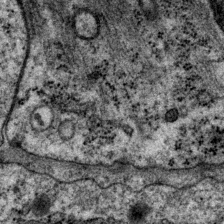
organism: P. pacificus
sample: Pharynx